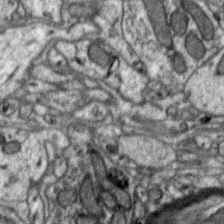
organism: Zebra finch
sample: Brain